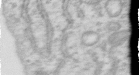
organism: Human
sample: Centriole in RPE cells